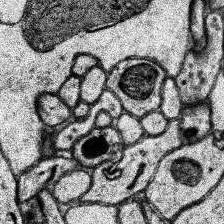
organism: Human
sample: Temporal Lobe